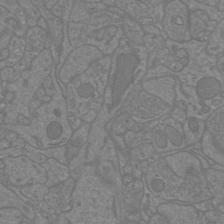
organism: Mouse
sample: Cortical neurons